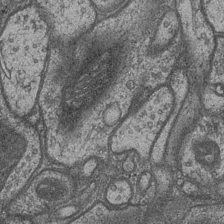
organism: Drosophila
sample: Optic medulla